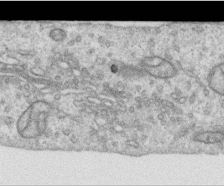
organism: Human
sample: Centriole in RPE cells